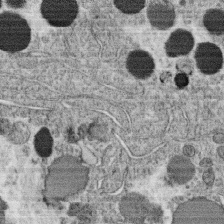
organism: C. elegans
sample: C. elegans oocyte; sperm cells